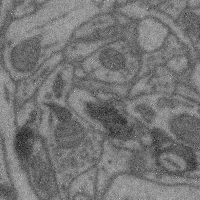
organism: Mouse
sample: Cerebral cortex